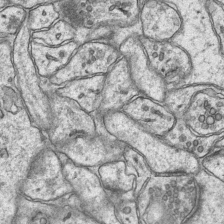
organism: Mouse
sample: CA1 Hippocampus